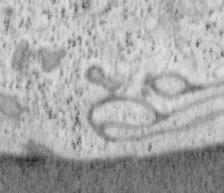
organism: Mouse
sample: OT-I killer T cells with ID8 ovarian cancer cells